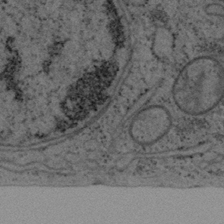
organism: Human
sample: HeLa cells